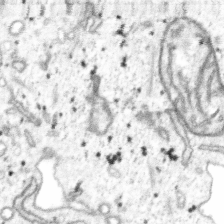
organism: Human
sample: HeLa cells